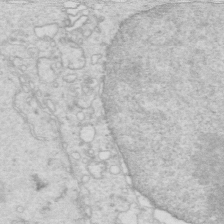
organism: Mouse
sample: Multiciliated cells